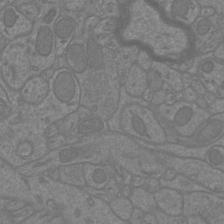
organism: Mouse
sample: Cortical neurons